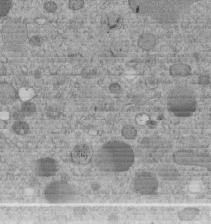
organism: C. elegans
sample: C. elegans embryo early stage